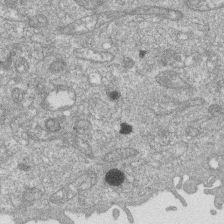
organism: Human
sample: HeLa cell HIV synapse